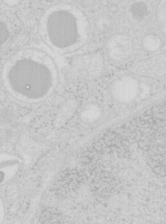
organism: Mouse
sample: Pancreas